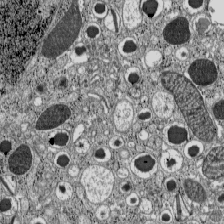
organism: C57BL Mouse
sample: Pancreatic islet